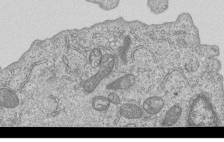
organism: Human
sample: MDA-MB-231 cells